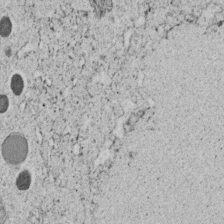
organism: C. elegans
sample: C. elegans embryo early stage